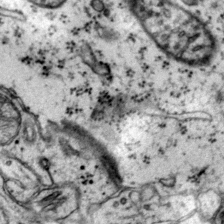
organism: Mouse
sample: Primary visual cortex